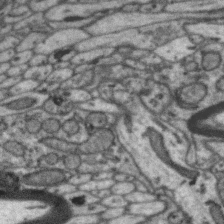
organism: Zebra finch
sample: Brain